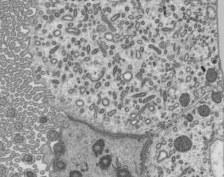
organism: Mouse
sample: Mouse epididymis efferent ductule cilia